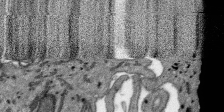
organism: Human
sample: Lung epithelial cells, uninfected (mock) control